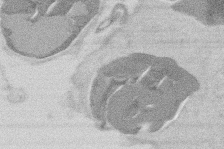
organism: Mouse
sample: T cell stromal cell synapse